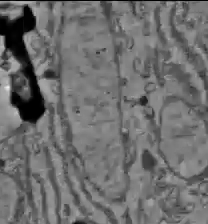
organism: C57BL Mouse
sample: Liver